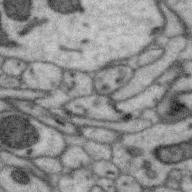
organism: Zebra finch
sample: Brain